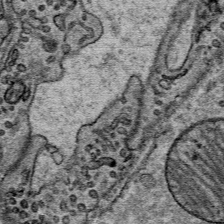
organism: Mouse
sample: Mouse Salivary gland